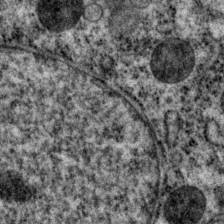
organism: P. pacificus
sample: Pharynx